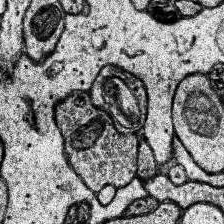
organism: Human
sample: Temporal Lobe